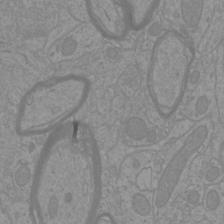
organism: Mouse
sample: Cortical neurons